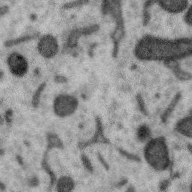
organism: Zebra finch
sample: Brain